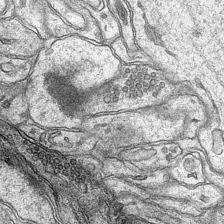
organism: Mouse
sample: CA1 Hippocampus